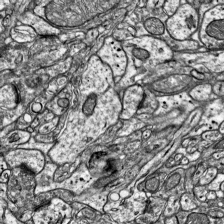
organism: Mouse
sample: Visual Cortex